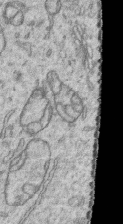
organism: Human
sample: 1205lu cells